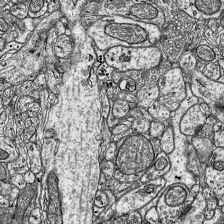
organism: Mouse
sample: Visual Cortex